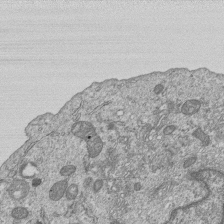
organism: Human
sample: MDA-MB-231 cells